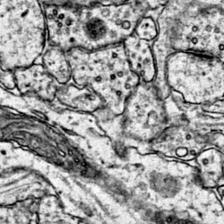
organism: Mouse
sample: Primary visual cortex